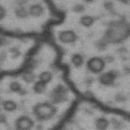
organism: Drosophila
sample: Brain